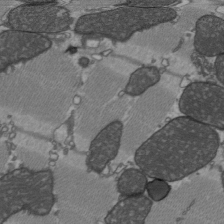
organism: C57BL Mouse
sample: Heart